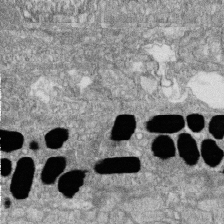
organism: Zebrafish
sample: Cilia; retinal pigment epithelium